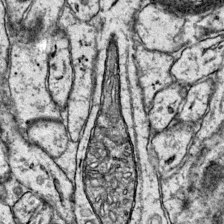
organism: Mouse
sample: Primary visual cortex